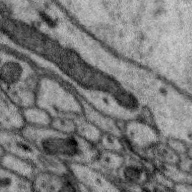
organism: Zebra finch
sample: Brain